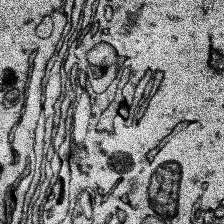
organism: Human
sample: Temporal Lobe